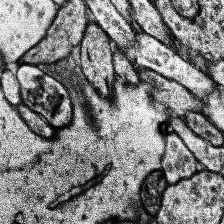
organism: Human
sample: Temporal Lobe